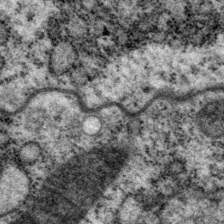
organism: P. pacificus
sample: Pharynx